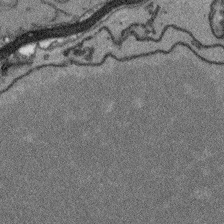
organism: Arabidopsis thaliana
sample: Root tip